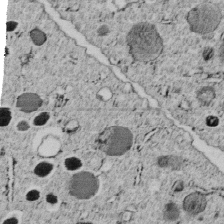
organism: C. elegans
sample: C. elegans embryo early stage